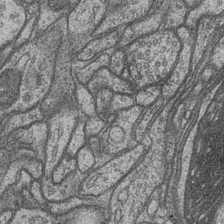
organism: Drosophila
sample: Optic medulla